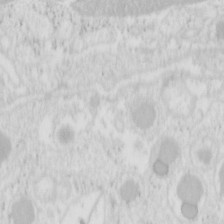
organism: Mouse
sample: Pancreas